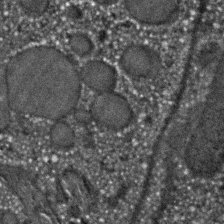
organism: C. elegans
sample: C. elegans embryo